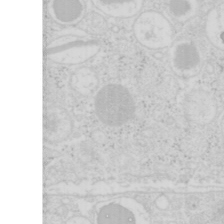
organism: Mouse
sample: Pancreas